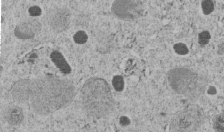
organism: C. elegans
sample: C. elegans embryo early stage